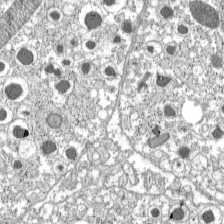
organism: C57BL Mouse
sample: Pancreatic islet